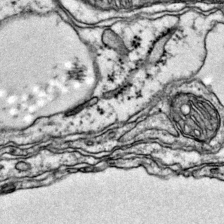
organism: Mouse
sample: Primary visual cortex